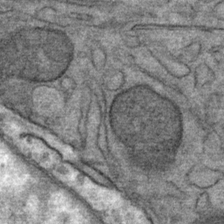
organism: Mouse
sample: Mouse Salivary gland